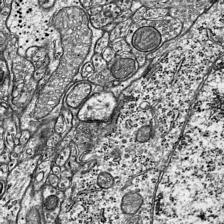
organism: Mouse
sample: Visual Cortex